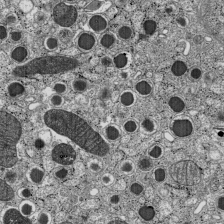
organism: C57BL Mouse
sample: Pancreatic islet